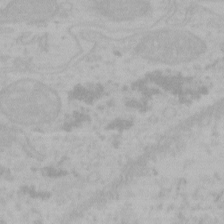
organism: Mouse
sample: Choroid plexus